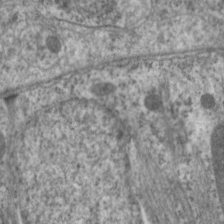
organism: C. elegans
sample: Pharynx